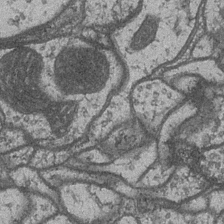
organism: Drosophila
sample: Optic medulla